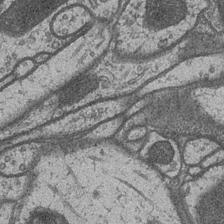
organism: Drosophila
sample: Optic medulla